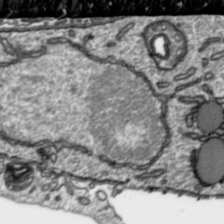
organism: Toxoplasma gondii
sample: Parasites in a vacuole inside a host cell